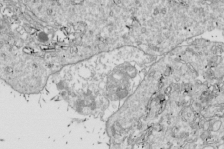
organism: Drosophila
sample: Cell division; meiosis; drosophila spermatocytes